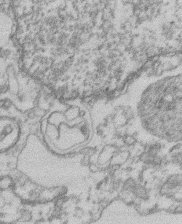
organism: Mouse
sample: T cell stromal cell synapse